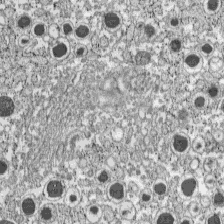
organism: C57BL Mouse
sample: Pancreatic islet